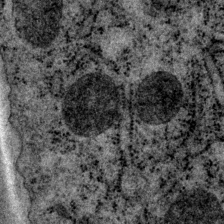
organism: P. pacificus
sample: Pharynx